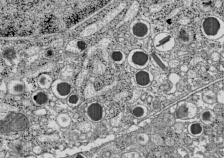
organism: C57BL Mouse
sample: Pancreatic islet